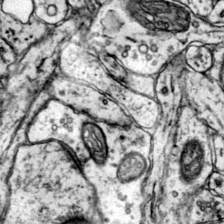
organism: Mouse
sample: Primary visual cortex